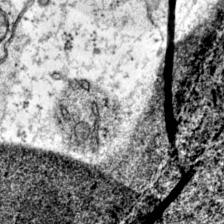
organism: Mouse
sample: Primary visual cortex